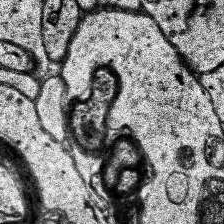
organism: Human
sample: Temporal Lobe